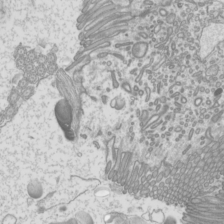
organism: Mouse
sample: Cilia; mouse epididymis